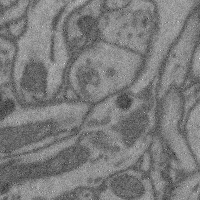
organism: Mouse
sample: Cerebral cortex